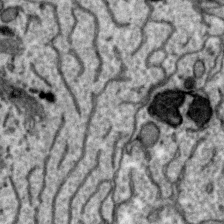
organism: Zebra finch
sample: Brain